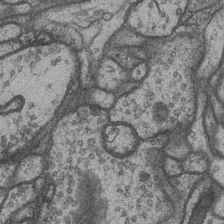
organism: Drosophila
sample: Optic medulla